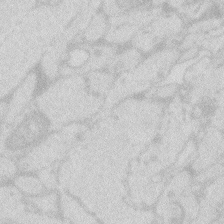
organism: Zebrafish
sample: Macrophage